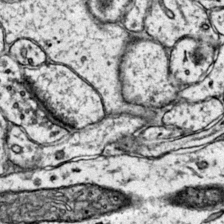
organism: Mouse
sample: Primary visual cortex